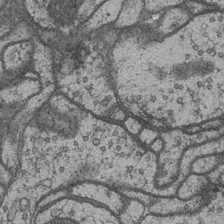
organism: Drosophila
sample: Optic medulla